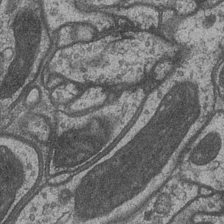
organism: Drosophila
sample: Optic medulla